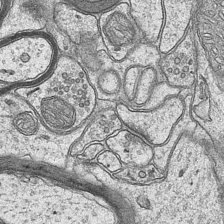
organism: Mouse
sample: CA1 Hippocampus